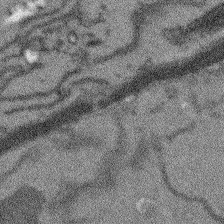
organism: Arabidopsis thaliana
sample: Root tip